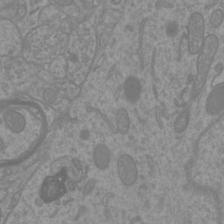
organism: Mouse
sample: Cortical neurons